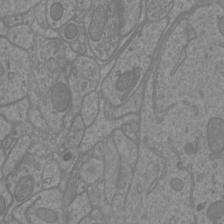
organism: Mouse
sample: Cortical neurons